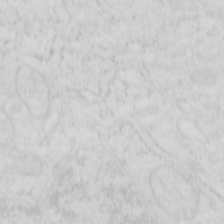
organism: Human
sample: SUM-159 cell